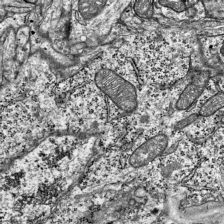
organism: Mouse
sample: Visual Cortex